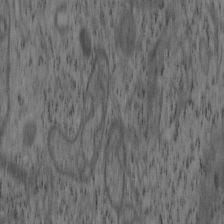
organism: Human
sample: HeLa cells